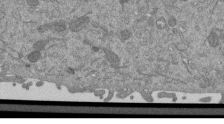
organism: Mouse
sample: ED-1 cell nuclei; centrioles